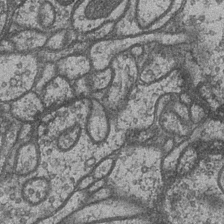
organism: Drosophila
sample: Optic medulla